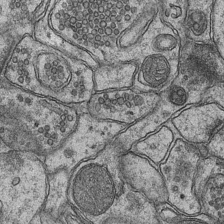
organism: Mouse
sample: CA1 Hippocampus